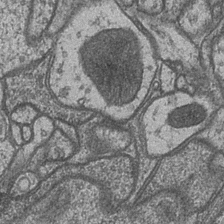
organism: Drosophila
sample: Optic medulla